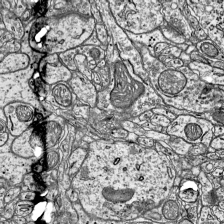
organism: Mouse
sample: Visual Cortex